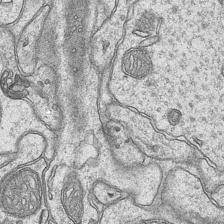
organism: Mouse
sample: CA1 Hippocampus